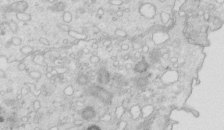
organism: Mouse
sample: Multiciliated cells